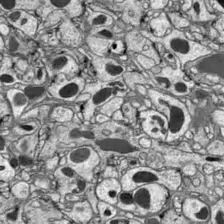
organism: Drosophila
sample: Optic lobe